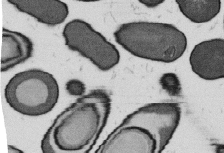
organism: B. subtilis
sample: Bacterial spore